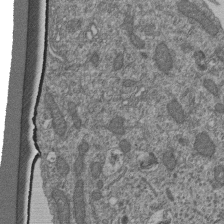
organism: Human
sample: Retinal organoid Rod and Cone cells